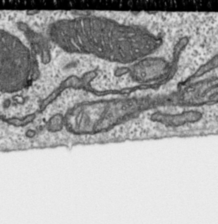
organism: Toxoplasma gondii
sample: Parasites in a vacuole inside a host cell